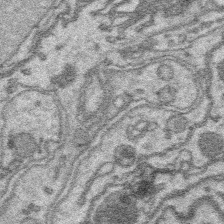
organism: Platynereis dumerilii